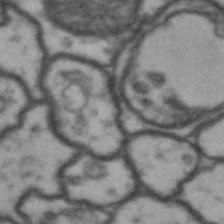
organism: Drosophila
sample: Brain